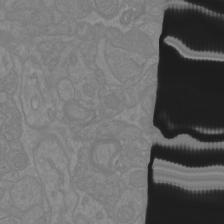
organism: Mouse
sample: Cortical neurons